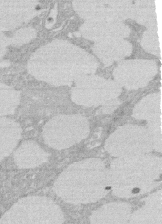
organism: Rat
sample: Salivary granule